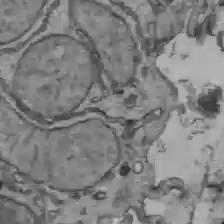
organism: C57BL Mouse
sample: Liver